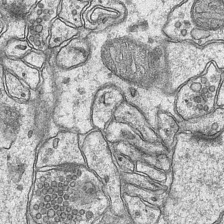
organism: Mouse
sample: CA1 Hippocampus